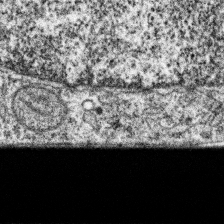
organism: Human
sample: HeLa cells